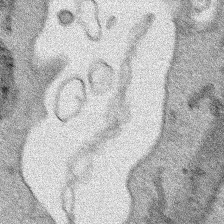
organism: Human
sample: Mitochondria in HCT116 cells